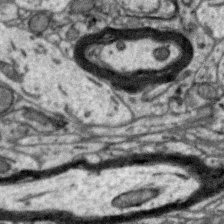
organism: Zebra finch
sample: Brain